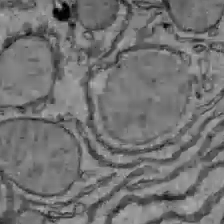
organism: C57BL Mouse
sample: Liver